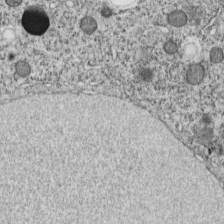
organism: C. elegans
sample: C. elegans embryo early stage